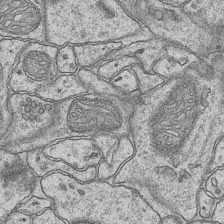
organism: Mouse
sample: CA1 Hippocampus